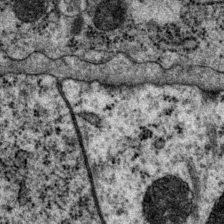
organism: P. pacificus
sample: Pharynx